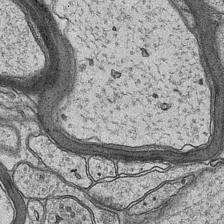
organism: Mouse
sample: CA1 Hippocampus